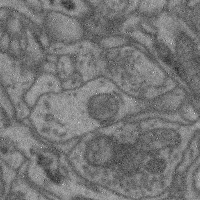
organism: Mouse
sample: Cerebral cortex